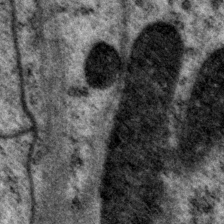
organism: P. pacificus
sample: Pharynx